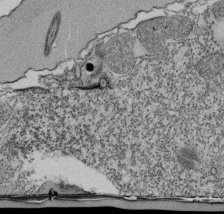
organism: Tetrahymena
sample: Cilia in tetrahymena